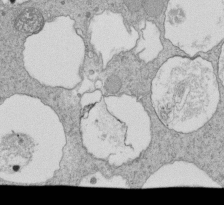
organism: Tetrahymena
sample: Cilia in tetrahymena